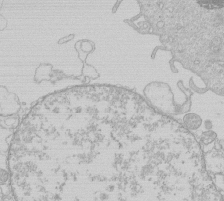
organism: Human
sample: Macrophage cells